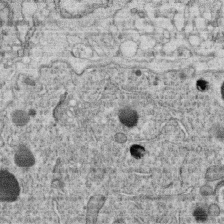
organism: C. elegans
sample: C. elegans oocyte; sperm cells